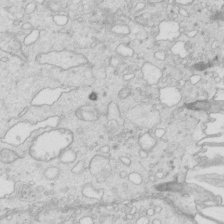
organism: Mouse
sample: Multiciliated cells